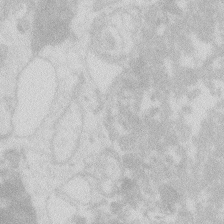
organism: Zebrafish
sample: Macrophage